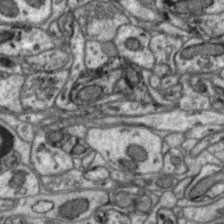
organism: Zebra finch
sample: Brain